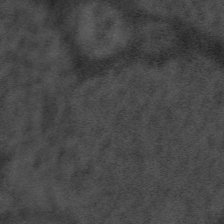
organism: Tuwongella immobilis